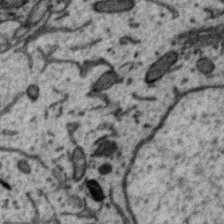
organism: Zebra finch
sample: Brain